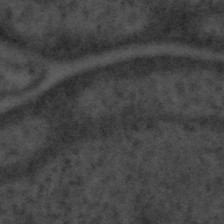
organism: Tuwongella immobilis